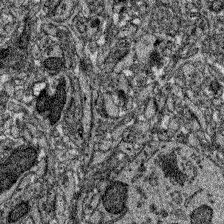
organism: Zebrafish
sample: Larval olfactory bulb